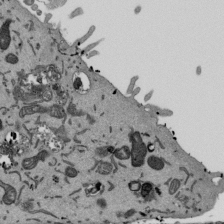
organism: Mouse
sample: ED-1 cell nuclei; centrioles